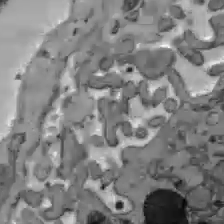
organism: C57BL Mouse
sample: Liver